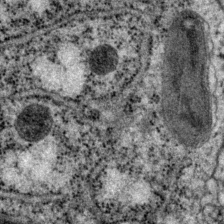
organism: P. pacificus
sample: Pharynx